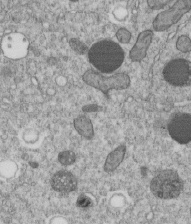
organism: C. elegans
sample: C. elegans embryo early stage